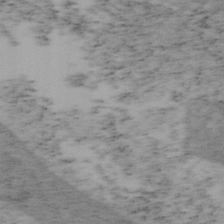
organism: Mouse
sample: OT-I killer T cells with ID8 ovarian cancer cells